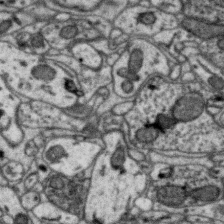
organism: Zebra finch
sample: Brain